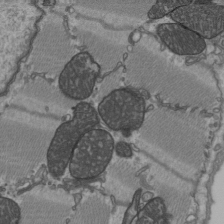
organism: C57BL Mouse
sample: Heart